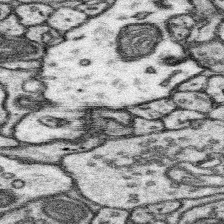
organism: Mouse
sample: Somatosensory cortex neuropil